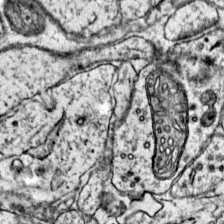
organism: Mouse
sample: Primary visual cortex